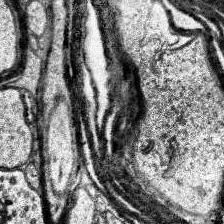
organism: Human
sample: Temporal Lobe